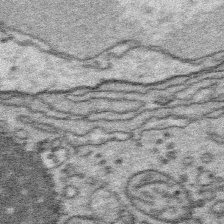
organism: Platynereis dumerilii